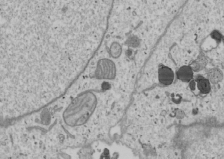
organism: Human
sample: Mitochondria in U2OS cells